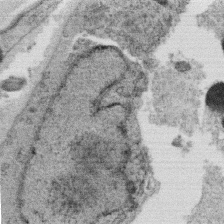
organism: C. elegans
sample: C. elegans oocyte; sperm cells